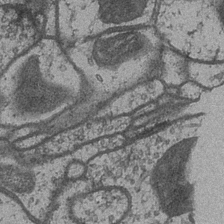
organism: Drosophila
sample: Optic medulla